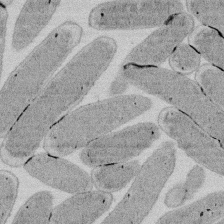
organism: E. coli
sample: Bacterial nucleoid